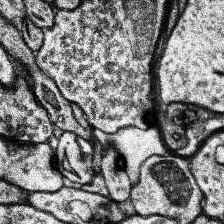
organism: Human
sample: Temporal Lobe